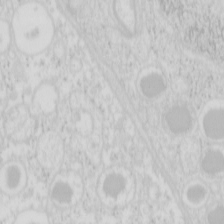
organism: Mouse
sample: Pancreas